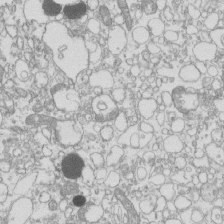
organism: Mouse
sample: Macrophages